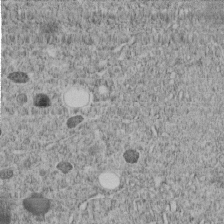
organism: C. elegans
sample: C. elegans embryo early stage